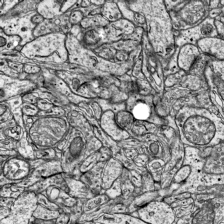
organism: Mouse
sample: Visual Cortex